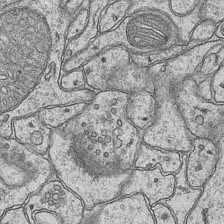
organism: Mouse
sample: CA1 Hippocampus